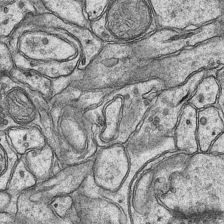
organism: Mouse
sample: CA1 Hippocampus